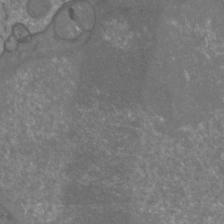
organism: Mouse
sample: Cortical neurons